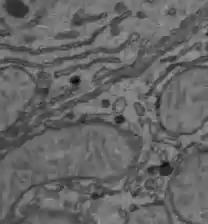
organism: C57BL Mouse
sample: Liver